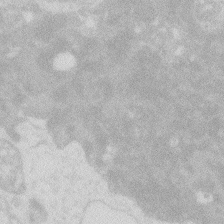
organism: Zebrafish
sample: Macrophage